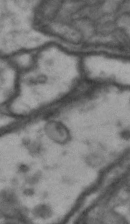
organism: Drosophila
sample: Brain